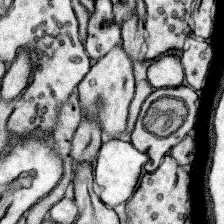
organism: Mouse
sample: Somatosensory cortex neuropil